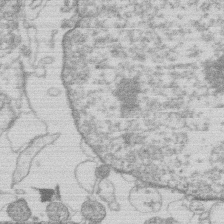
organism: Human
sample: Macrophage cells